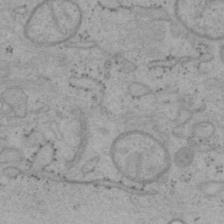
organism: Human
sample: HeLa cells